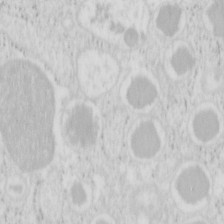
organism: Mouse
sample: Pancreas